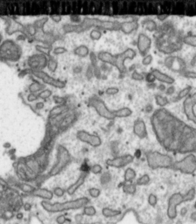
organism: Toxoplasma gondii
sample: Parasites in a vacuole inside a host cell